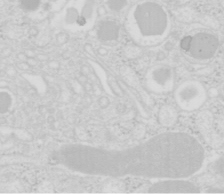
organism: Mouse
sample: Pancreas